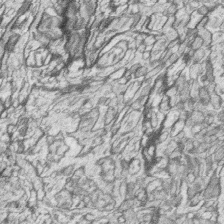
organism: Zebrafish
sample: synaptic ribbons in rod cells and cone cells